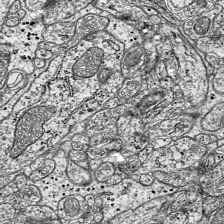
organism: Mouse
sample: Visual Cortex